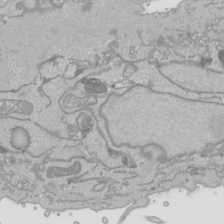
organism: Human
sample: Mitochondria in HCT116 cells